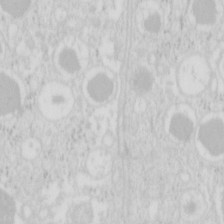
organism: Mouse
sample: Pancreas